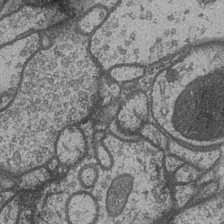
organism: Drosophila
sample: Optic medulla